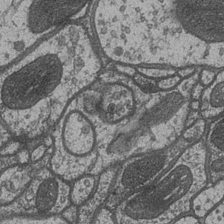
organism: Drosophila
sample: Optic medulla